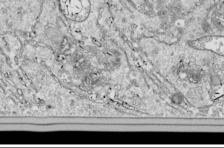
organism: Drosophila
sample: Cell division; meiosis; drosophila spermatocytes